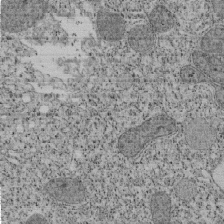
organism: Tetrahymena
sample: Cilia in tetrahymena